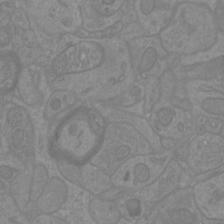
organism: Mouse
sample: Cortical neurons